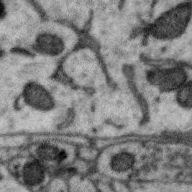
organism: Zebra finch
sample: Brain